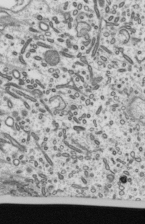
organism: Mouse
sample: Mouse epididymis efferent ductule cilia